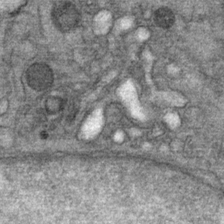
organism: Mouse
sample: Mouse Salivary gland